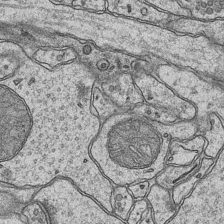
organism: Mouse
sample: CA1 Hippocampus